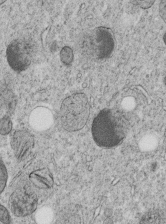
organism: C. elegans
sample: C. elegans embryo early stage